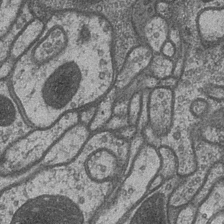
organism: Drosophila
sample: Optic medulla